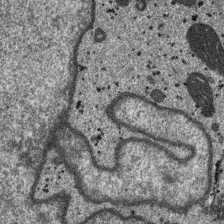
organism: Human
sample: Lung epithelial cells infected with SARS-CoV-2